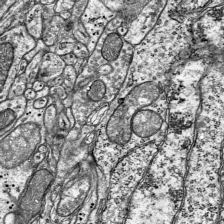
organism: Mouse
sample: Visual Cortex